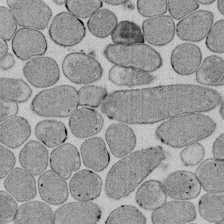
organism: E. coli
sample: Bacterial nucleoid